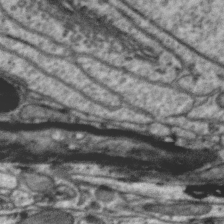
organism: Zebra finch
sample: Brain